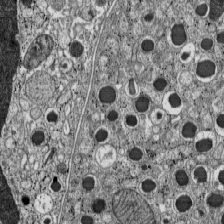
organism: C57BL Mouse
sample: Pancreatic islet